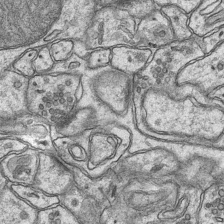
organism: Mouse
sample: CA1 Hippocampus